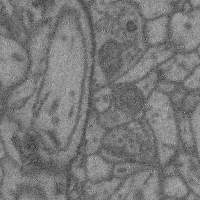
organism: Mouse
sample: Cerebral cortex